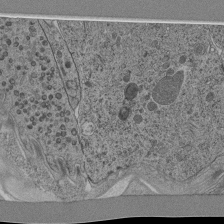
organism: C. elegans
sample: C. elegans pharynx